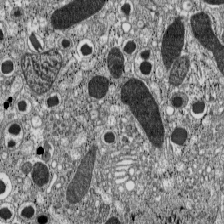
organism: C57BL Mouse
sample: Pancreatic islet